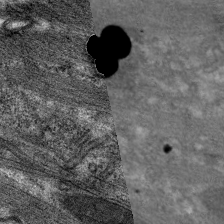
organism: C. elegans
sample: Pharynx